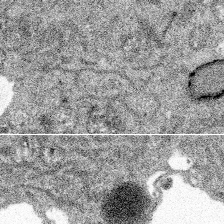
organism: Spongilla lacustris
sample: Multiple